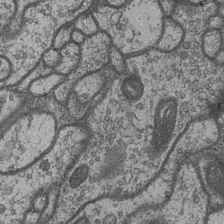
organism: Drosophila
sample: Optic medulla